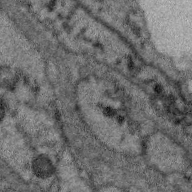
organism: Zebra finch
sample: Brain